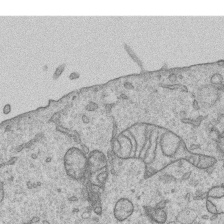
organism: Human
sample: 1205lu cells